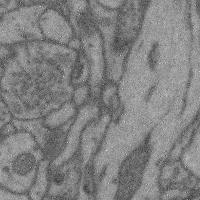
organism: Mouse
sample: Cerebral cortex